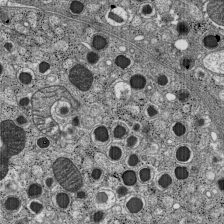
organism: C57BL Mouse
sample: Pancreatic islet